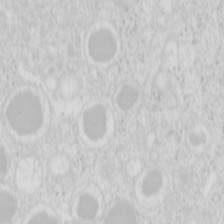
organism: Mouse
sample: Pancreas